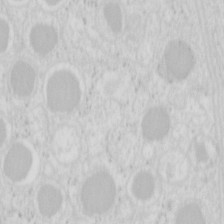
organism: Mouse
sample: Pancreas